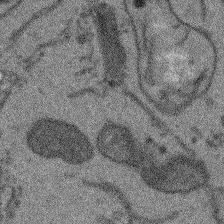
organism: Arabidopsis thaliana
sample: Root tip